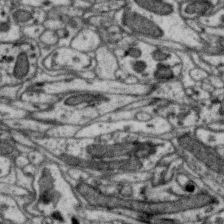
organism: Zebra finch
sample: Brain